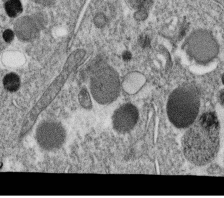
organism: C. elegans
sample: C. elegans oocyte; sperm cells